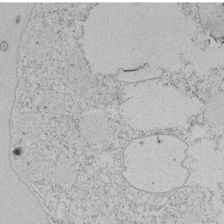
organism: Tetrahymena